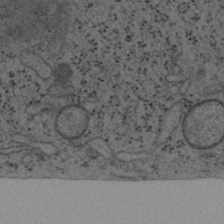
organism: Human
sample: HeLa cells